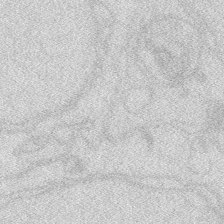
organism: Zebrafish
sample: Macrophage